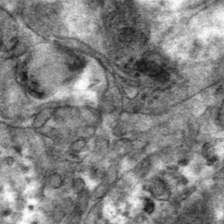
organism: Mouse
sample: Mouse hepatocytes